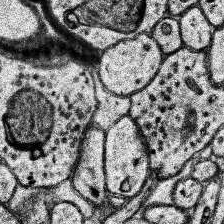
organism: Human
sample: Temporal Lobe